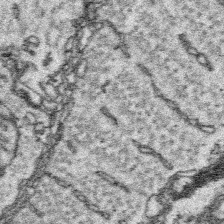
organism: Platynereis dumerilii